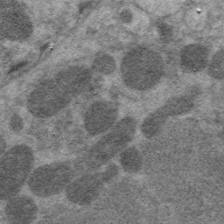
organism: C. elegans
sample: Pharynx